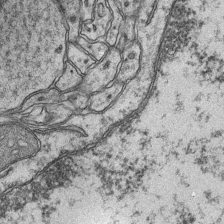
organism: Mouse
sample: CA1 Hippocampus